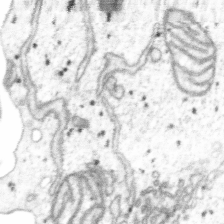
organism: Human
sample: HeLa cells